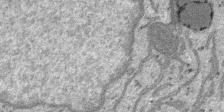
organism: Human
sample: Lung epithelial cells infected with SARS-CoV-2